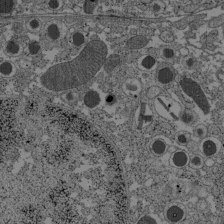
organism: C57BL Mouse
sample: Pancreatic islet